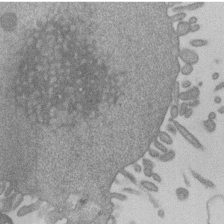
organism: Mouse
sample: Dividing mouse embryo 1 cell stage